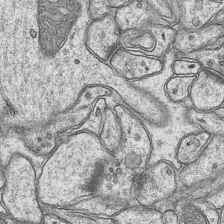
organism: Mouse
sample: CA1 Hippocampus